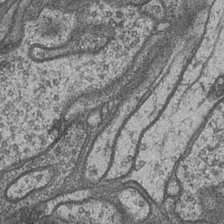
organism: Drosophila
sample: Optic medulla